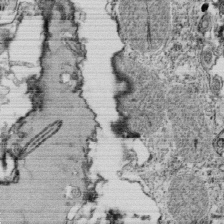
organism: Tetrahymena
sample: Cilia in tetrahymena